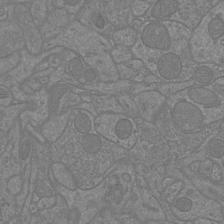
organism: Mouse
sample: Cortical neurons